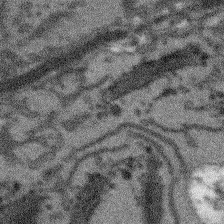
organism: Arabidopsis thaliana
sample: Root tip